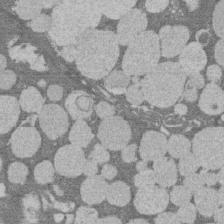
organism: Rat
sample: Salivary granule